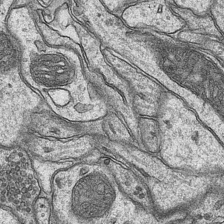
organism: Mouse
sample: CA1 Hippocampus